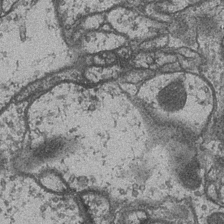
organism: Drosophila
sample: Optic medulla